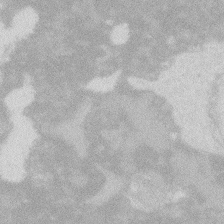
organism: Zebrafish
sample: Macrophage